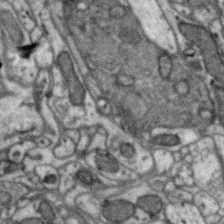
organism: Zebra finch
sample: Brain